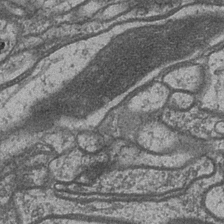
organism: Drosophila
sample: Optic medulla